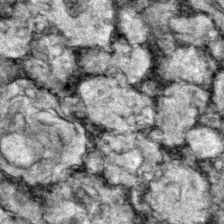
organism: Zebrafish